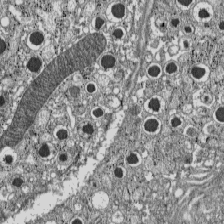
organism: C57BL Mouse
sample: Pancreatic islet